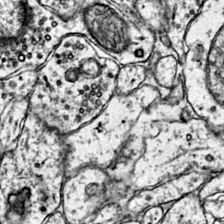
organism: Mouse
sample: Primary visual cortex